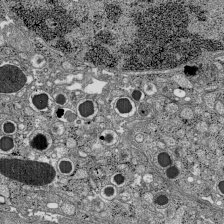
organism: C57BL Mouse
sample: Pancreatic islet